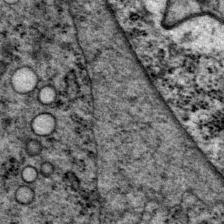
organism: P. pacificus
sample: Pharynx